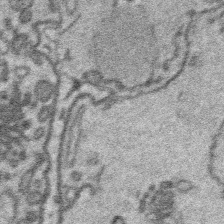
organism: Platynereis dumerilii